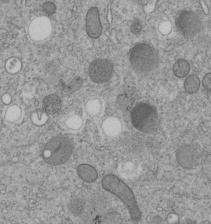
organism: C. elegans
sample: C. elegans embryo early stage